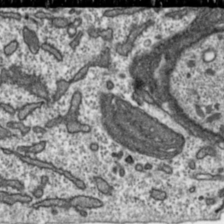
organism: Toxoplasma gondii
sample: Parasites in a vacuole inside a host cell